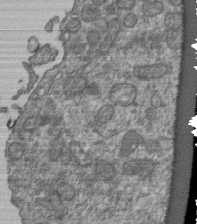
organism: Human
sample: Retinal organoid Rod and Cone cells